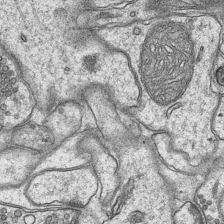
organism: Mouse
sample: CA1 Hippocampus